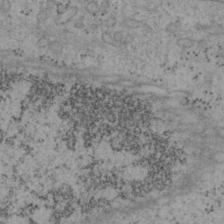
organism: Human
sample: HeLa cells